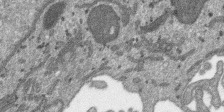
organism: Human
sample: Lung epithelial cells infected with SARS-CoV-2